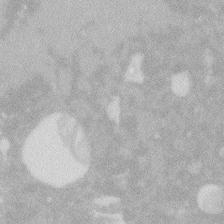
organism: Zebrafish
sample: Macrophage